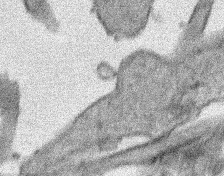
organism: Human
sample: Mitochondria in HCT116 cells